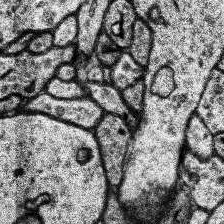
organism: Human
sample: Temporal Lobe